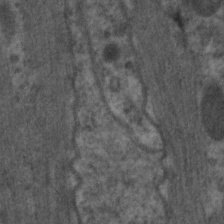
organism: C. elegans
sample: Pharynx